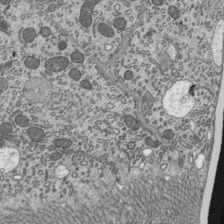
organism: Mouse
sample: Mouse epididymis efferent ductule cilia